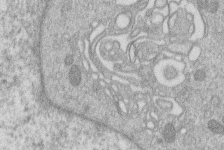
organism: Human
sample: Macrophage cells